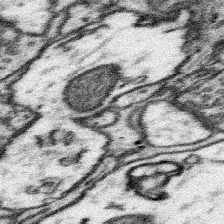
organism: Mouse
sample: Somatosensory cortex neuropil